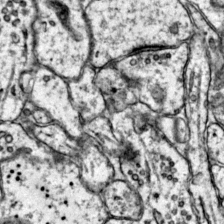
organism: Mouse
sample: Primary visual cortex